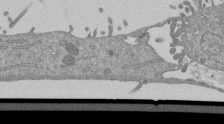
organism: Mouse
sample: ED-1 cell nuclei; centrioles